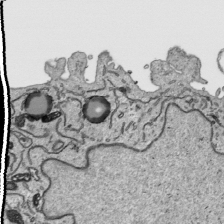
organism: Human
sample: Mitochondria in HCT116 cells